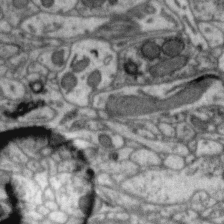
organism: Zebra finch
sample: Brain